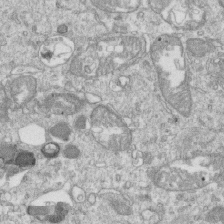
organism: Mouse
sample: Activated OT-1 CD8+ T cells